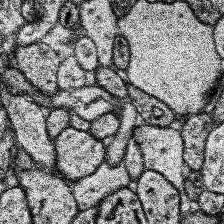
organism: Human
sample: Temporal Lobe